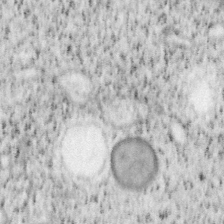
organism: Mouse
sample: OT-I killer T cells with ID8 ovarian cancer cells